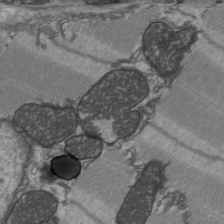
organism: C57BL Mouse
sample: Heart